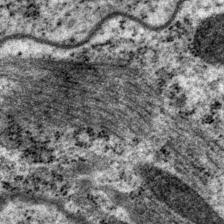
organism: P. pacificus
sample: Pharynx